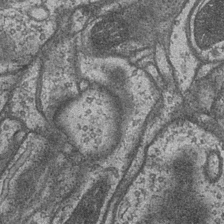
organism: Drosophila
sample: Optic medulla